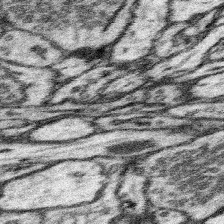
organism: Mouse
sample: Somatosensory cortex neuropil